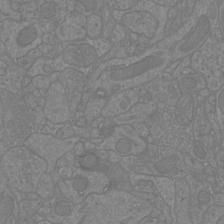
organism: Mouse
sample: Cortical neurons